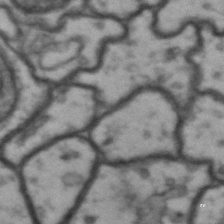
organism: Drosophila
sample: Brain